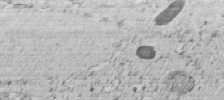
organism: C. elegans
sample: C. elegans embryo early stage